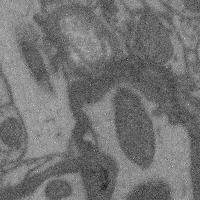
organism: Mouse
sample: Cerebral cortex